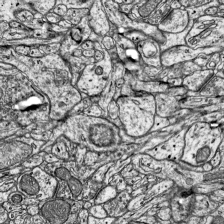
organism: Mouse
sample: Visual Cortex